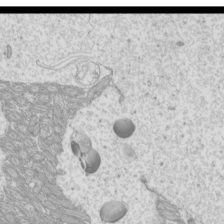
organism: Mouse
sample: Cilia; mouse epididymis